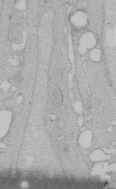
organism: Human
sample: Melanocyte Keratinocyte synapse skin construct